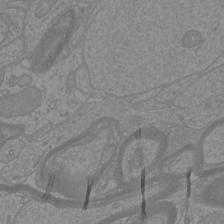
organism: Mouse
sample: Cortical neurons